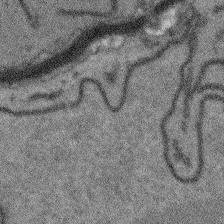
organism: Arabidopsis thaliana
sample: Root tip